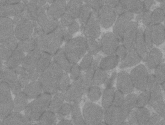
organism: C57BL Mouse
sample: Tibialis anterior muscle cell